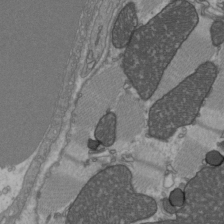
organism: C57BL Mouse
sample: Heart